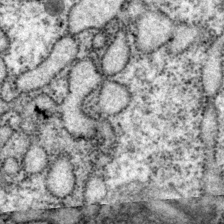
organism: P. pacificus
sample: Pharynx